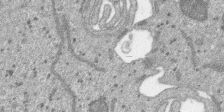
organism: Human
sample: Lung epithelial cells infected with SARS-CoV-2